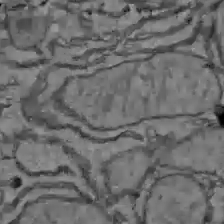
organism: C57BL Mouse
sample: Liver